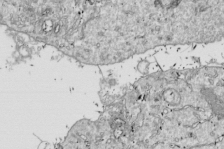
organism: Drosophila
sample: Cell division; meiosis; drosophila spermatocytes